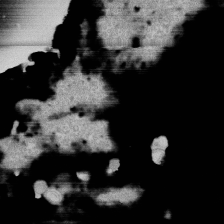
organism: Human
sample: CRL-1474